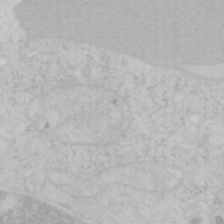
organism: Mouse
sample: OT-I killer T cells with ID8 ovarian cancer cells